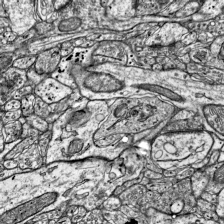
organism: Mouse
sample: Visual Cortex